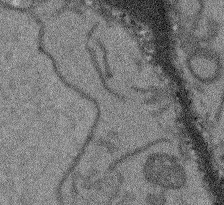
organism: Arabidopsis thaliana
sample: Root tip